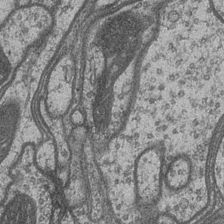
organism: Drosophila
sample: Optic medulla